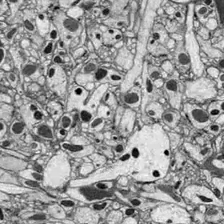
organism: Drosophila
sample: Optic lobe